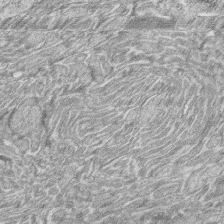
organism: Zebrafish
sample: synaptic ribbons in rod cells and cone cells